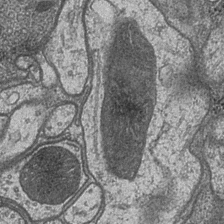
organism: Drosophila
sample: Optic medulla